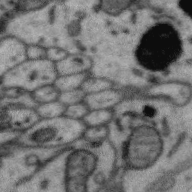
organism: Zebra finch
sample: Brain